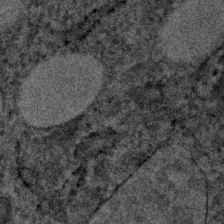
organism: Human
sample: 1205lu cells